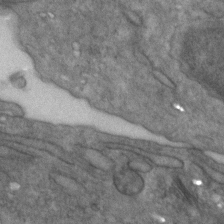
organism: Zebrafish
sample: Zebrafish embryo